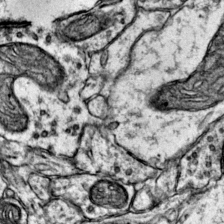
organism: Mouse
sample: Primary visual cortex